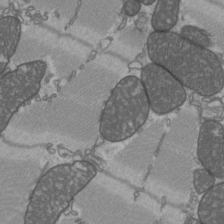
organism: C57BL Mouse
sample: Heart